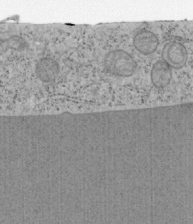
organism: Human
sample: HeLa cells